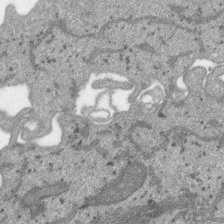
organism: Human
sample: Lung epithelial cells infected with SARS-CoV-2